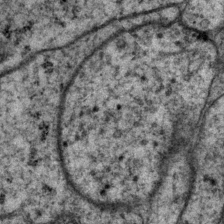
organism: P. pacificus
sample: Pharynx